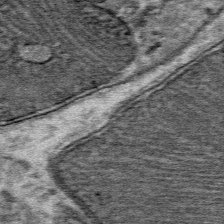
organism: Mouse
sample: Mouse Salivary gland